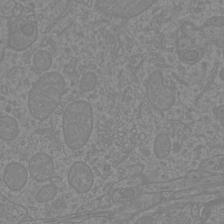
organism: Mouse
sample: Cortical neurons